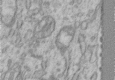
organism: Human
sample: Centriole in RPE cells